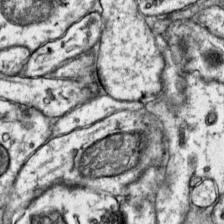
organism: Mouse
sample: Primary visual cortex